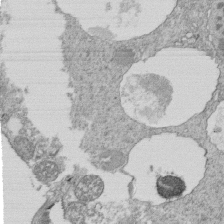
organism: Tetrahymena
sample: Cilia in tetrahymena